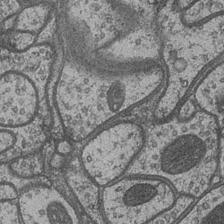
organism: Drosophila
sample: Optic medulla